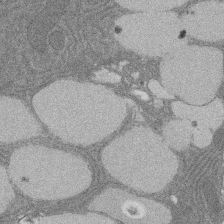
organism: Rat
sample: Salivary granule